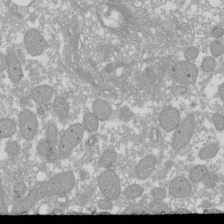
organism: Xenopus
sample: Cilia; centrioles in frog embryo cells